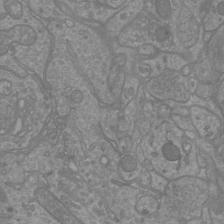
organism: Mouse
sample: Cortical neurons